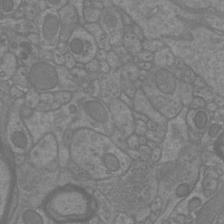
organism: Mouse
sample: Cortical neurons